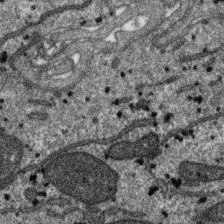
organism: Human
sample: Lung epithelial cells infected with SARS-CoV-2